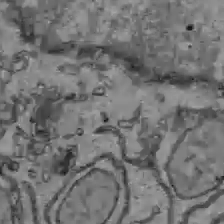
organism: C57BL Mouse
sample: Liver